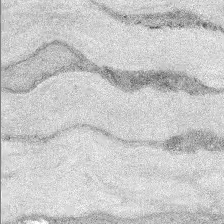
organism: Mouse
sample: Corneal nerves